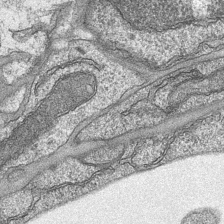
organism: Mouse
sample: CA1 Hippocampus